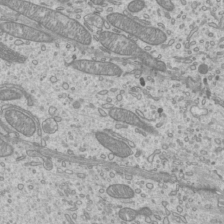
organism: Mouse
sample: Cilia; mouse epididymis